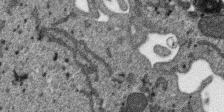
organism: Human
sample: Lung epithelial cells infected with SARS-CoV-2